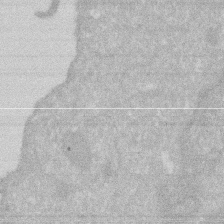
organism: Human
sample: HIV infected U937 cells